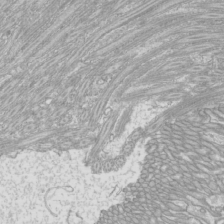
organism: Mouse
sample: Cilia; mouse epididymis